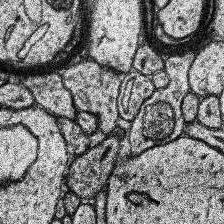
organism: Human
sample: Temporal Lobe